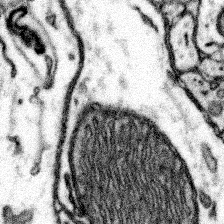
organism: Mouse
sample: Somatosensory cortex neuropil